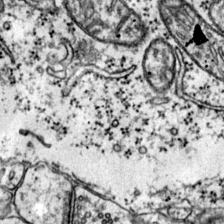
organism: Mouse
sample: Primary visual cortex